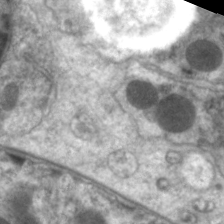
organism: C. elegans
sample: Pharynx